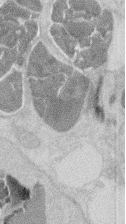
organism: Mouse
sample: T cell stromal cell synapse